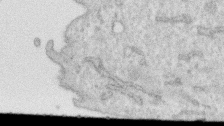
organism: Human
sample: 1205lu cells